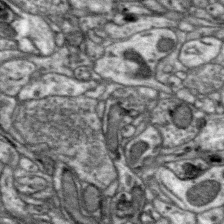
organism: Zebra finch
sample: Brain